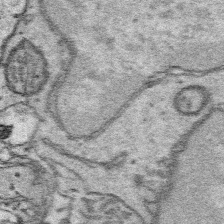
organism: Platynereis dumerilii